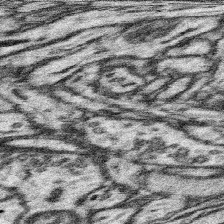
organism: Mouse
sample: Somatosensory cortex neuropil